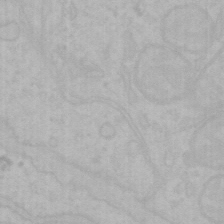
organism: Mouse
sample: Choroid plexus